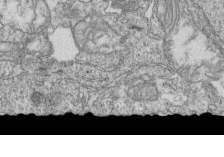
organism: Human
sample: HeLa cell HIV synapse